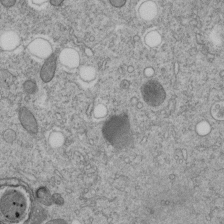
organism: C. elegans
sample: C. elegans embryo early stage